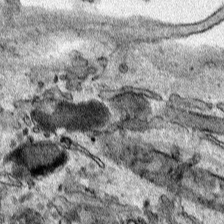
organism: Human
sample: Mitochondria in HCT116 cells